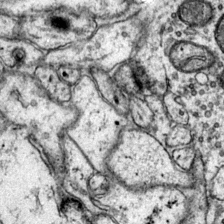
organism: Mouse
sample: Primary visual cortex